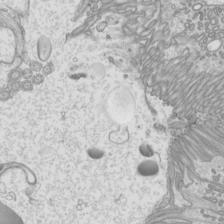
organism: Mouse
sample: Cilia; mouse epididymis